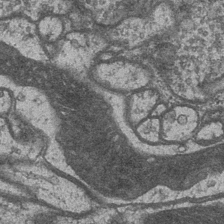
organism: Drosophila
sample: Optic medulla